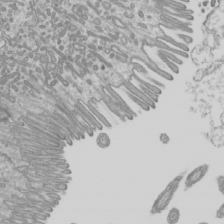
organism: Mouse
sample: Cilia; mouse epididymis